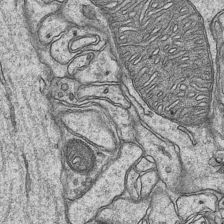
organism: Mouse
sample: CA1 Hippocampus